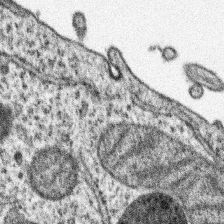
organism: Human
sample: HeLa cells